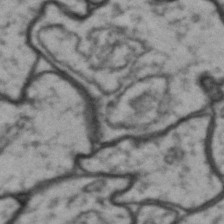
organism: Drosophila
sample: Brain